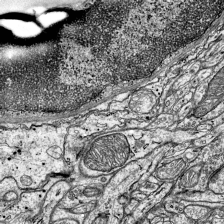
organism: Mouse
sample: Visual Cortex